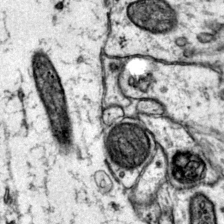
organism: Mouse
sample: Primary visual cortex